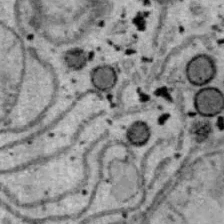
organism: Mouse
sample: Liver from an obese (ob/ob) mouse